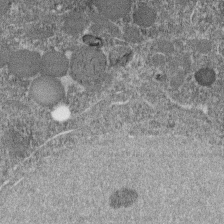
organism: C. elegans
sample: C. elegans embryo early stage